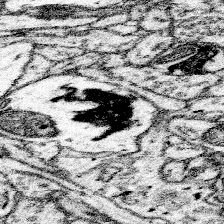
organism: Mouse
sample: Somatosensory cortex neuropil